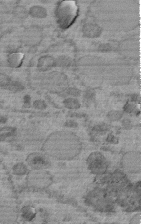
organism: C. elegans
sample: C. elegans embryo early stage